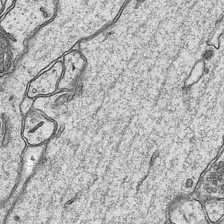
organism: Mouse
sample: CA1 Hippocampus